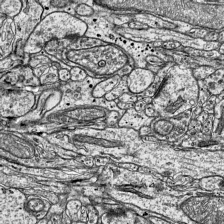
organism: Mouse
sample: Visual Cortex